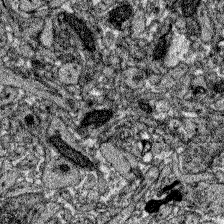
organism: Zebrafish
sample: Larval olfactory bulb